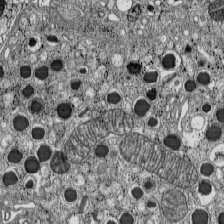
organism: C57BL Mouse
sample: Pancreatic islet